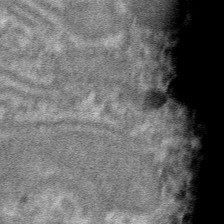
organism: Mouse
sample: Mouse hepatocytes